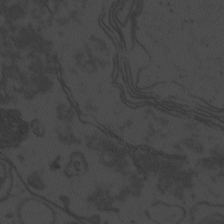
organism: Zebrafish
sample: Macrophage infected with Toxoplasma gondii